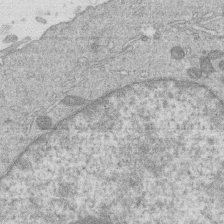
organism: Human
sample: Macrophage cells